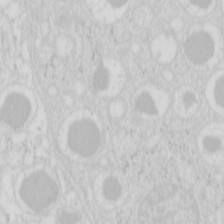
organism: Mouse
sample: Pancreas